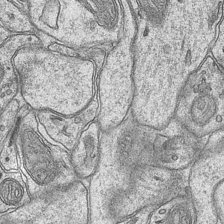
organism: Mouse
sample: CA1 Hippocampus